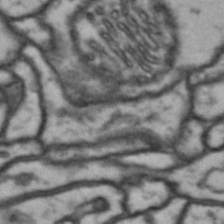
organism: Drosophila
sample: Brain